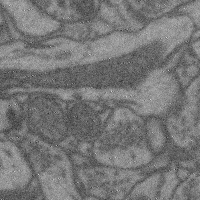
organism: Mouse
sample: Cerebral cortex